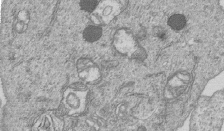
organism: Human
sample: MDA-MB-231 cells